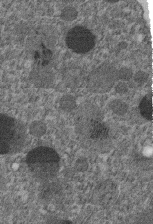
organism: C. elegans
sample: C. elegans embryo early stage